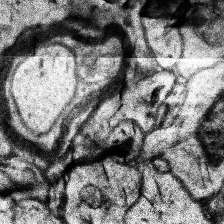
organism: Human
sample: Temporal Lobe